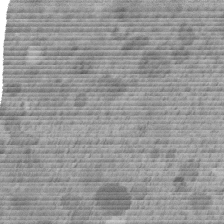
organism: C. elegans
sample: C. elegans embryo early stage